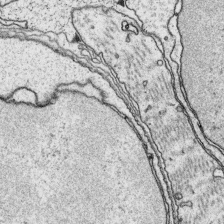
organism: Platynereis dumerilii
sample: Parapodia